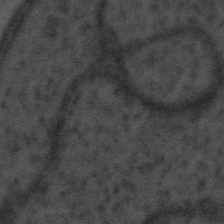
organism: Tuwongella immobilis